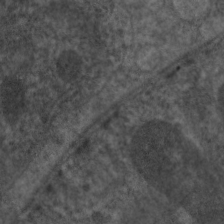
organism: C. elegans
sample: Pharynx